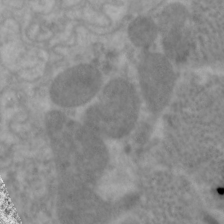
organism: C. elegans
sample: Pharynx